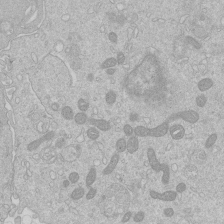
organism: Human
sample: Macrophage cells